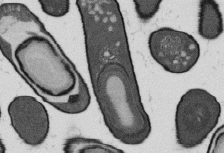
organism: B. subtilis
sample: Bacterial spore